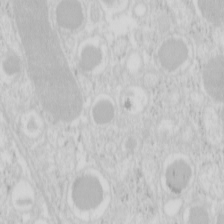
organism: Mouse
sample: Pancreas